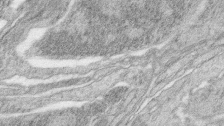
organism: Zebrafish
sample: synaptic ribbons in rod cells and cone cells